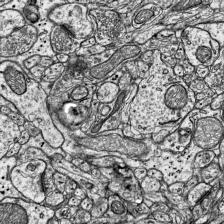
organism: Mouse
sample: Visual Cortex